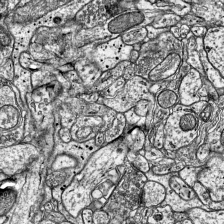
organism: Mouse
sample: Visual Cortex